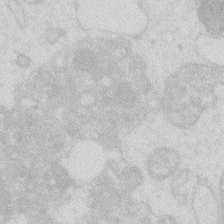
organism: Zebrafish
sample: Macrophage